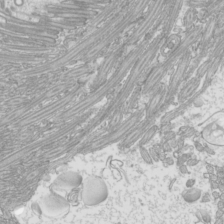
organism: Mouse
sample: Cilia; mouse epididymis